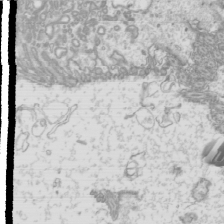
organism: Mouse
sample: Cilia; mouse epididymis